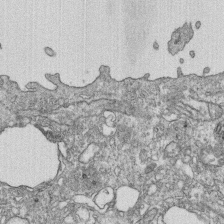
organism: Human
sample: HeLa cell HIV synapse